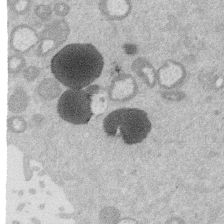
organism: Mouse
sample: Dividing mouse embryo 1 cell stage